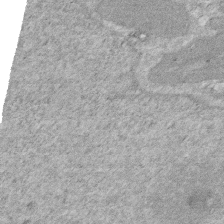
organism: Human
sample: HIV infected U937 cells